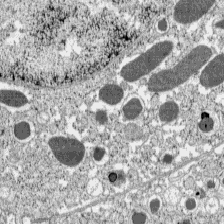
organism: C57BL Mouse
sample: Pancreatic islet